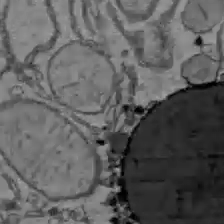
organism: C57BL Mouse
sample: Liver